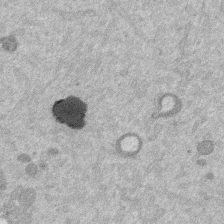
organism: Mouse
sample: Dividing mouse embryo 1 cell stage